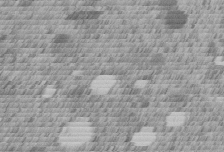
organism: C. elegans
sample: C. elegans embryo early stage